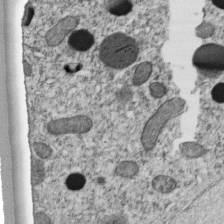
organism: C. elegans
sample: C. elegans embryo early stage